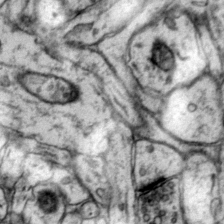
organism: Mouse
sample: Primary visual cortex